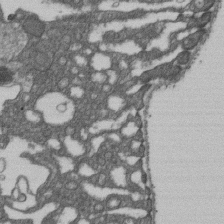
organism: Drosophila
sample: Nephrocyte